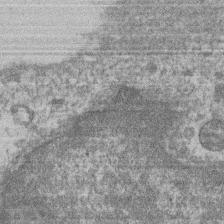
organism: Mouse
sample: T cell stromal cell synapse